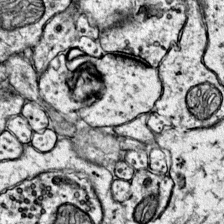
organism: Mouse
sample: Primary visual cortex